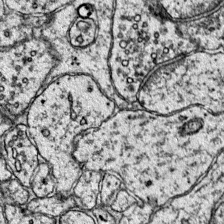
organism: Mouse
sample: Primary visual cortex